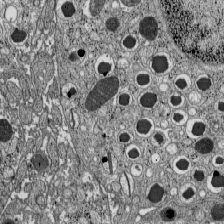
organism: C57BL Mouse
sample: Pancreatic islet